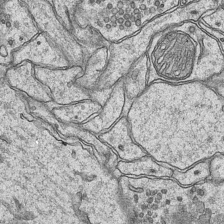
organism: Mouse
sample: CA1 Hippocampus